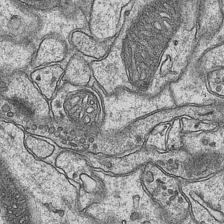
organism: Mouse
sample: CA1 Hippocampus